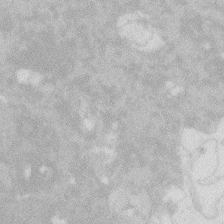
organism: Zebrafish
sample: Macrophage